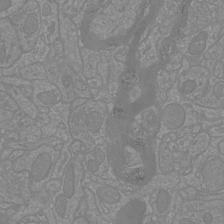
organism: Mouse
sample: Cortical neurons